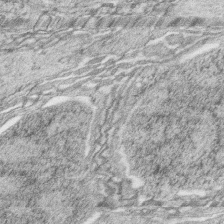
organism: Zebrafish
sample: synaptic ribbons in rod cells and cone cells